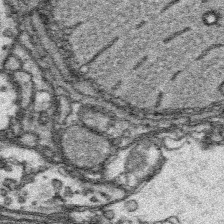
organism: Platynereis dumerilii